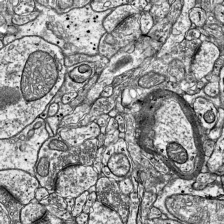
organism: Mouse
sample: Visual Cortex